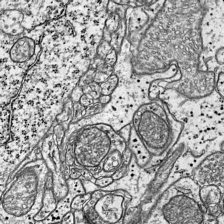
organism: Mouse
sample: Visual Cortex